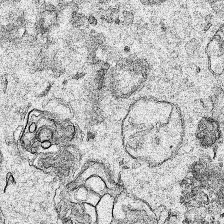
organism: Human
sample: Mitochondria in HCT116 cells